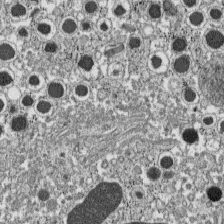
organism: C57BL Mouse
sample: Pancreatic islet